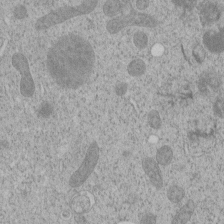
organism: C. elegans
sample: C. elegans embryo early stage